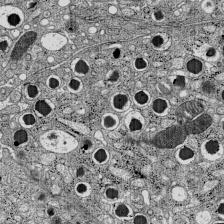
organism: C57BL Mouse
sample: Pancreatic islet